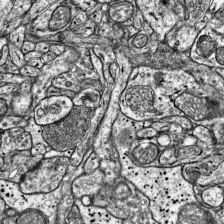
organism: Mouse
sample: Visual Cortex